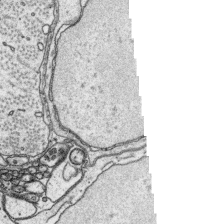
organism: Platynereis dumerilii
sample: Parapodia